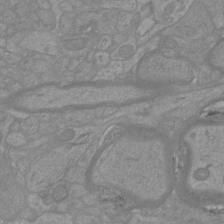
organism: Mouse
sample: Cortical neurons